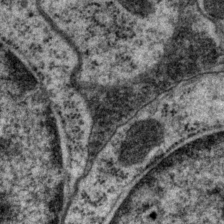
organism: P. pacificus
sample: Pharynx